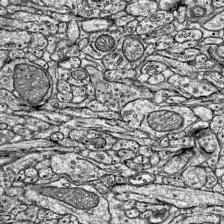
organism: Mouse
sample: Visual Cortex